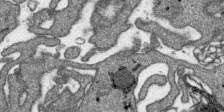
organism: Human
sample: Lung epithelial cells, uninfected (mock) control